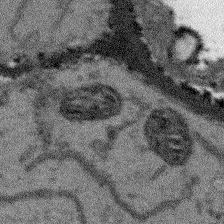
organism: Arabidopsis thaliana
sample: Root tip